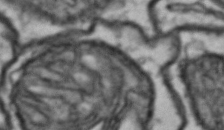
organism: Drosophila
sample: Brain